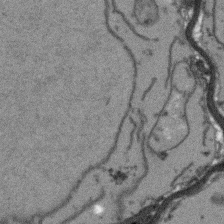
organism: Arabidopsis thaliana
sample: Root tip